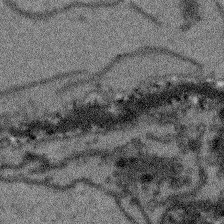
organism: Arabidopsis thaliana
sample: Root tip